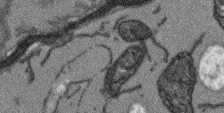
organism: Arabidopsis thaliana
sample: Root tip